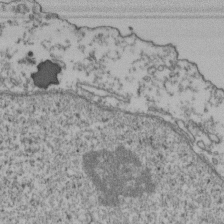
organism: Human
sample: Activated Jurkat CD4+ T cells